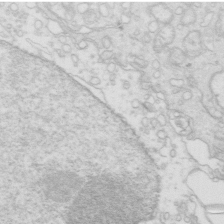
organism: Mouse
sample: Multiciliated cells